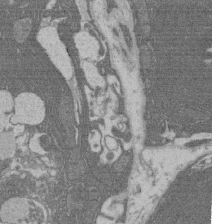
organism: Rat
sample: Salivary granule